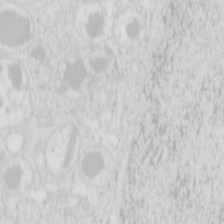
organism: Mouse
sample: Pancreas